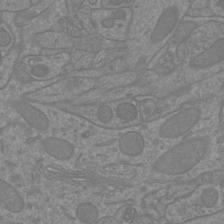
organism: Mouse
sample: Cortical neurons